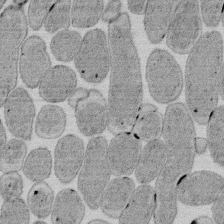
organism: E. coli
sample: Bacterial nucleoid